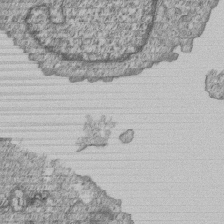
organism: Human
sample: MDA-MB-231 cells